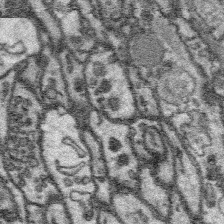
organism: Platynereis dumerilii